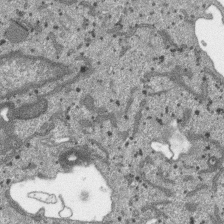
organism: Human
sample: Lung epithelial cells infected with SARS-CoV-2